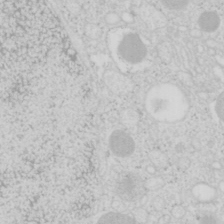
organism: Mouse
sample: Pancreas